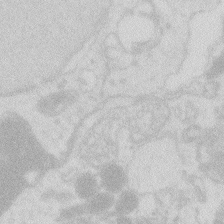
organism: Zebrafish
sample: Macrophage